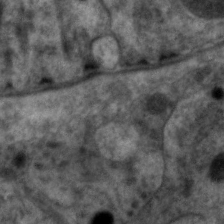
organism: C. elegans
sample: Pharynx